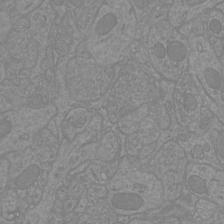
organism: Mouse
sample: Cortical neurons